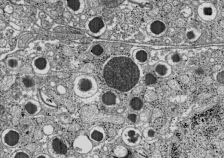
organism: C57BL Mouse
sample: Pancreatic islet